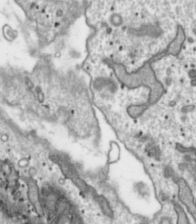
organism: Toxoplasma gondii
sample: Parasites in a vacuole inside a host cell